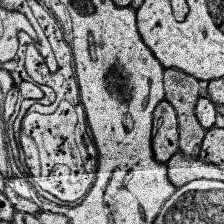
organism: Human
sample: Temporal Lobe